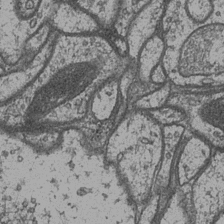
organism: Drosophila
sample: Optic medulla